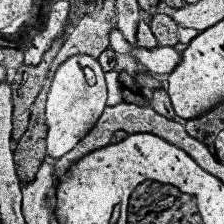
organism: Human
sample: Temporal Lobe